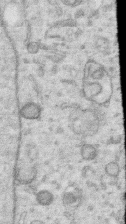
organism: Human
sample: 1205lu cells